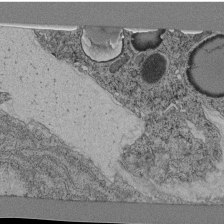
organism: C. elegans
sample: C. elegans pharynx